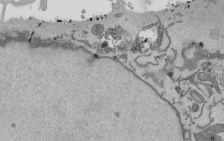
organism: Mouse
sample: ED-1 cell nuclei; centrioles